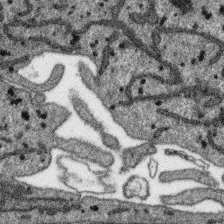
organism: Human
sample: Lung epithelial cells infected with SARS-CoV-2